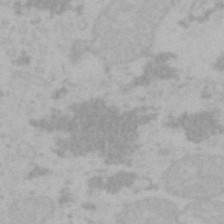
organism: Mouse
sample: Choroid plexus